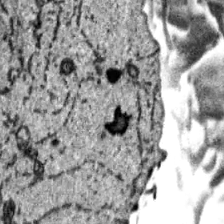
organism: Human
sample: HeLa cells